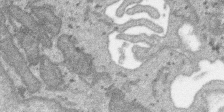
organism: Human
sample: Lung epithelial cells infected with SARS-CoV-2